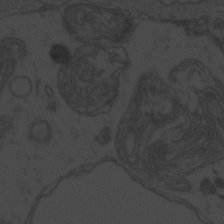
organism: Zebrafish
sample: Macrophage infected with Toxoplasma gondii